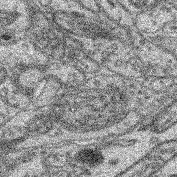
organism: Mouse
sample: Retina